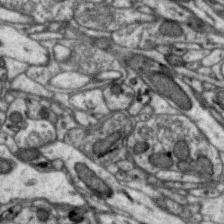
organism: Zebra finch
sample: Brain